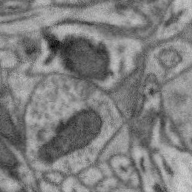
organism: Zebra finch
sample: Brain